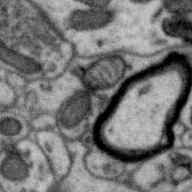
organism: Zebra finch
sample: Brain